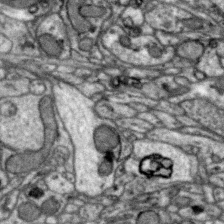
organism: Zebra finch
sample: Brain